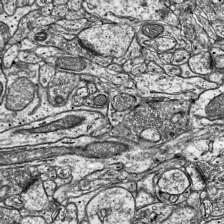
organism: Mouse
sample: Visual Cortex